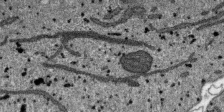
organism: Human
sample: Lung epithelial cells, uninfected (mock) control